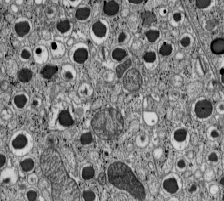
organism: C57BL Mouse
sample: Pancreatic islet